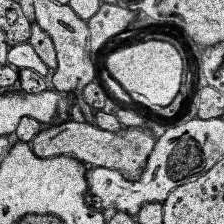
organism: Human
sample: Temporal Lobe